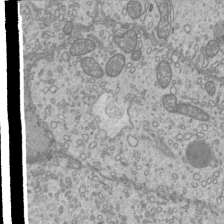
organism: Mouse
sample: Cilia; mouse epididymis